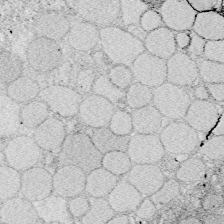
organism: Zebrafish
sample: Whole-Brain